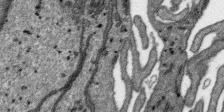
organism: Human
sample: Lung epithelial cells, uninfected (mock) control